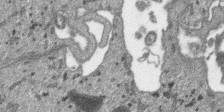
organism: Human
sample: Lung epithelial cells infected with SARS-CoV-2